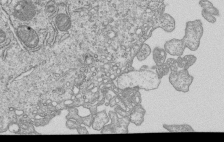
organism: Human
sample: MDA-MB-231 cells